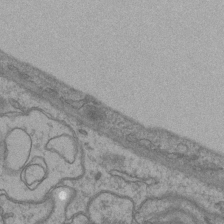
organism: Mouse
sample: CA1 Hippocampus